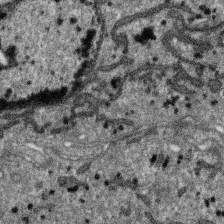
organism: Human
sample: Lung epithelial cells infected with SARS-CoV-2